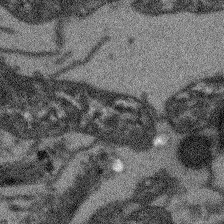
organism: Arabidopsis thaliana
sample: Root tip